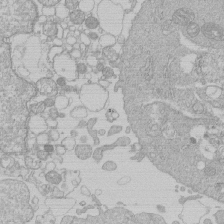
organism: Human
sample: Macrophage cells